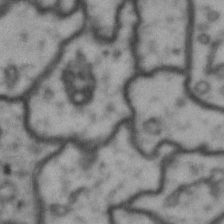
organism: Drosophila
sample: Brain